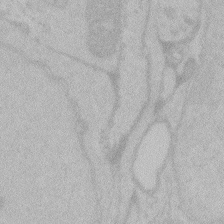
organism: Zebrafish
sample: Macrophage infected with Toxoplasma gondii